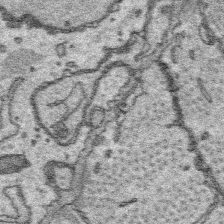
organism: Platynereis dumerilii